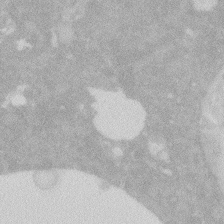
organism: Zebrafish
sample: Macrophage